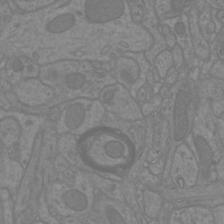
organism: Mouse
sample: Cortical neurons